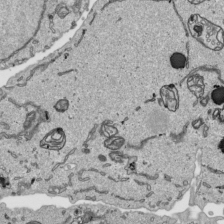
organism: Human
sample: Mitochondria in HCT116 cells